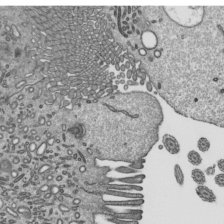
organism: Mouse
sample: Mouse epididymis efferent ductule cilia